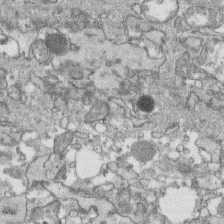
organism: Human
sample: CRL-1474